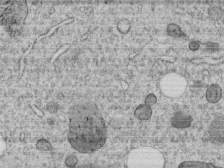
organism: C. elegans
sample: C. elegans embryo early stage